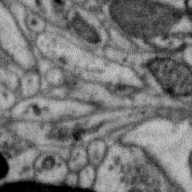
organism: Zebra finch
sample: Brain